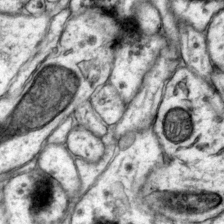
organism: Mouse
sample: Primary visual cortex